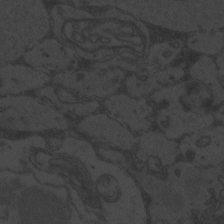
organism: Zebrafish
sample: Macrophage infected with Toxoplasma gondii